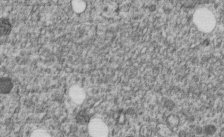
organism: C. elegans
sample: C. elegans embryo early stage